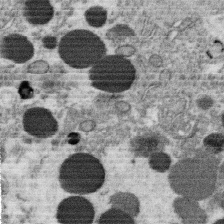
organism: C. elegans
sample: C. elegans oocyte; sperm cells